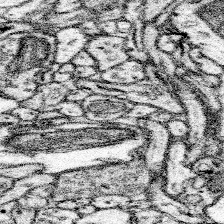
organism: Mouse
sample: Somatosensory cortex neuropil